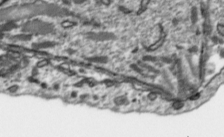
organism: Toxoplasma gondii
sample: Parasites in a vacuole inside a host cell